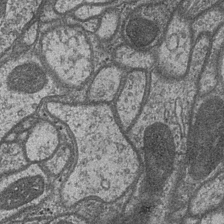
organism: Drosophila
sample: Optic medulla